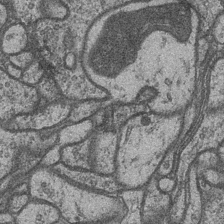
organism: Drosophila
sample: Optic medulla